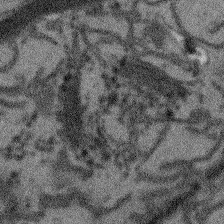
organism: Arabidopsis thaliana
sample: Root tip